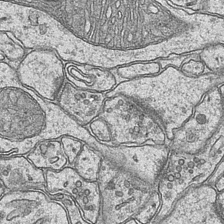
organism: Mouse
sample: CA1 Hippocampus